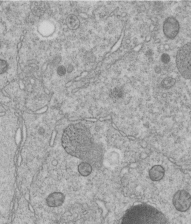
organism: C. elegans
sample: C. elegans embryo early stage